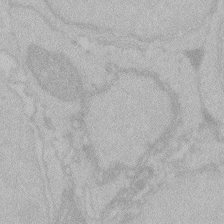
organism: Zebrafish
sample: Macrophage infected with Toxoplasma gondii